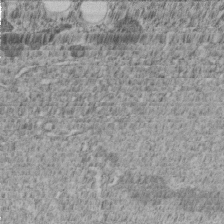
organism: C. elegans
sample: C. elegans embryo early stage